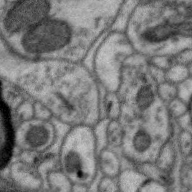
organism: Zebra finch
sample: Brain